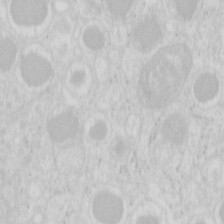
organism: Mouse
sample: Pancreas